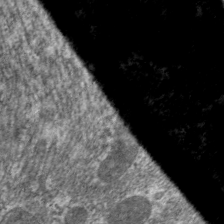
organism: C. elegans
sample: Pharynx